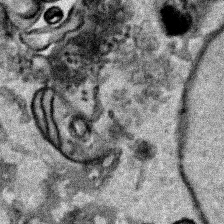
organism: Human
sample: Mitochondria in HCT116 cells